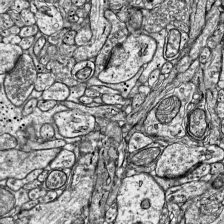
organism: Mouse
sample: Visual Cortex